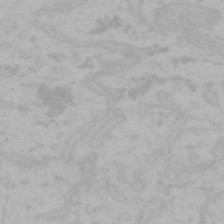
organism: Mouse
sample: Choroid plexus